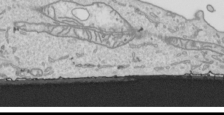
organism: Human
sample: Mitochondria in HCT116 cells